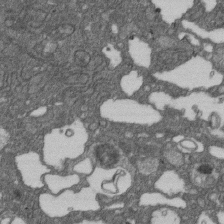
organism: Drosophila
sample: Nephrocyte